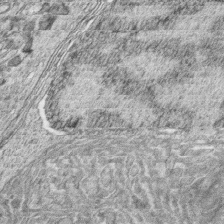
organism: Zebrafish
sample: synaptic ribbons in rod cells and cone cells